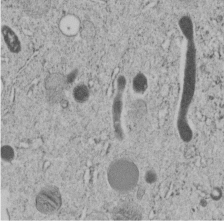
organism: C. elegans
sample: C. elegans embryo early stage